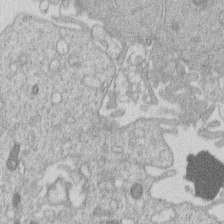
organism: Human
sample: Macrophage cells